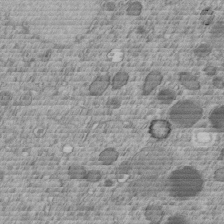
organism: C. elegans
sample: C. elegans embryo early stage